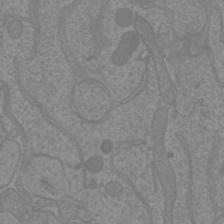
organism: Mouse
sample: Cortical neurons